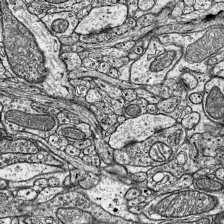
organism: Mouse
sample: Visual Cortex